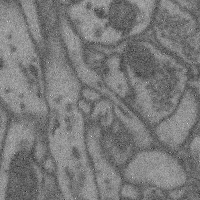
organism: Mouse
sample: Cerebral cortex